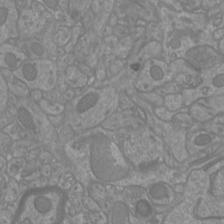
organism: Mouse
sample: Cortical neurons